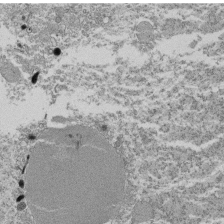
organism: Tetrahymena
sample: Cilia in tetrahymena